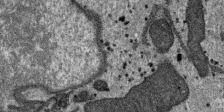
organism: Human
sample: Lung epithelial cells, uninfected (mock) control